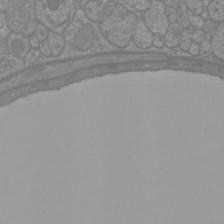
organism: Mouse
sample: Cortical neurons